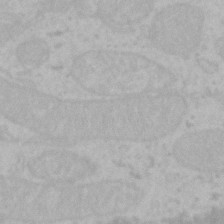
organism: Mouse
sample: Choroid plexus